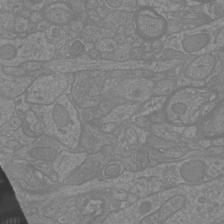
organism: Mouse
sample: Cortical neurons